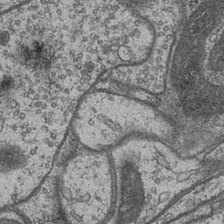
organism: Drosophila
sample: Optic medulla